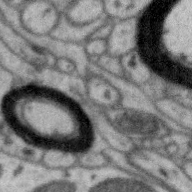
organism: Zebra finch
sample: Brain